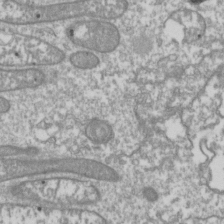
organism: Drosophila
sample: Cell division; meiosis; drosophila spermatocytes